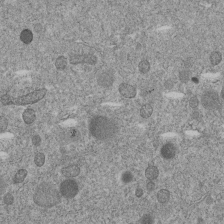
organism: C. elegans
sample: C. elegans embryo early stage